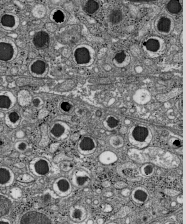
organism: C57BL Mouse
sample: Pancreatic islet